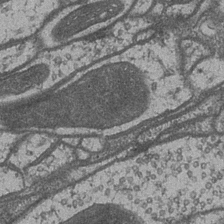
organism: Drosophila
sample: Optic medulla